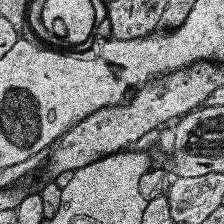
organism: Human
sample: Temporal Lobe